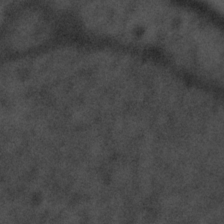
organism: Tuwongella immobilis